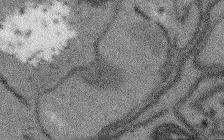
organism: Arabidopsis thaliana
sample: Root tip